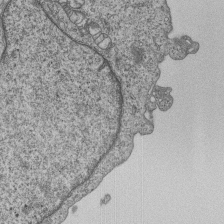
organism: Human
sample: MDA-MB-231 cells